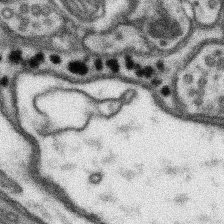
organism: Mouse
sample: Somatosensory cortex neuropil